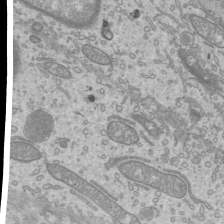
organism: Mouse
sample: Cilia; mouse epididymis